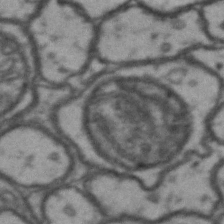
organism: Drosophila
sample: Brain